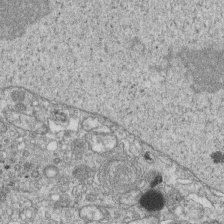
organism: Human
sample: HeLa cell HIV synapse